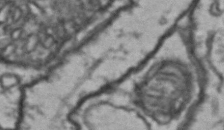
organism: Drosophila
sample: Brain